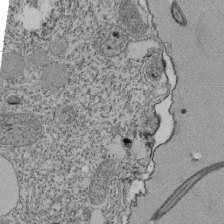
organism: Tetrahymena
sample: Cilia in tetrahymena